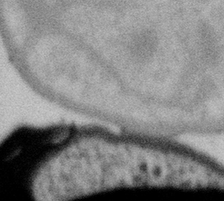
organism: Gemmata obscuriglobus